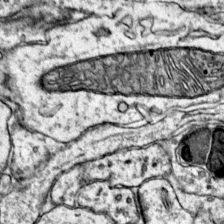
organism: Mouse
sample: Primary visual cortex